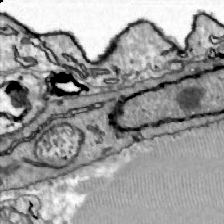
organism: Zebrafish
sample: Actinotrichia fibers